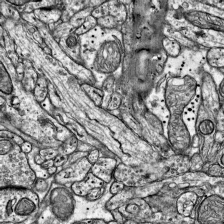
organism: Mouse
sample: Visual Cortex